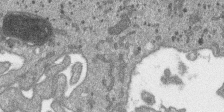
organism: Human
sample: Lung epithelial cells infected with SARS-CoV-2